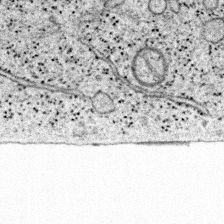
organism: Human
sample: HeLa cells